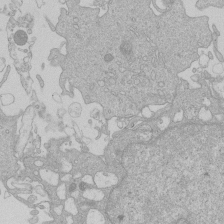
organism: Human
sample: Macrophage cells